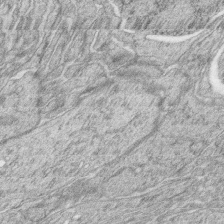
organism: Zebrafish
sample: synaptic ribbons in rod cells and cone cells